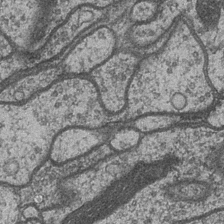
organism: Drosophila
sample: Optic medulla